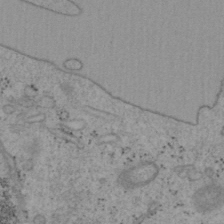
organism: Human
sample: HeLa cells